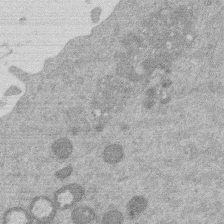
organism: Mouse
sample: Dividing mouse embryo 1 cell stage